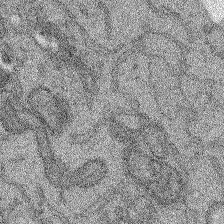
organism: Human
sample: HeLa cells